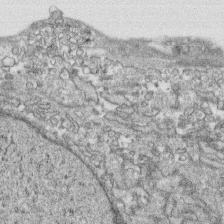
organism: Human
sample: CRL-1474